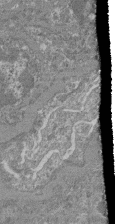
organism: Mouse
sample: Glomerulus